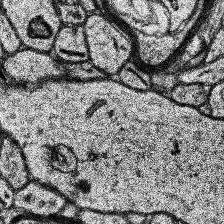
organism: Human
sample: Temporal Lobe